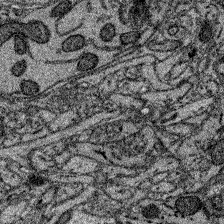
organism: Zebrafish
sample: Larval olfactory bulb